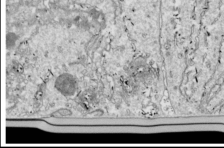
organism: Drosophila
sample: Cell division; meiosis; drosophila spermatocytes